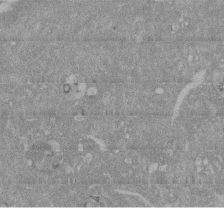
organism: Mouse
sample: ED-1 cell nuclei; centrioles